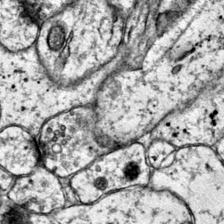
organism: Mouse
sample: Primary visual cortex